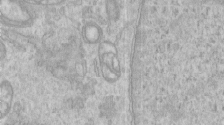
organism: Human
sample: Centriole in RPE cells